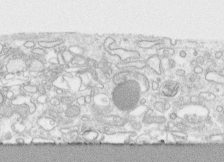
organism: Human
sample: CRL-1474